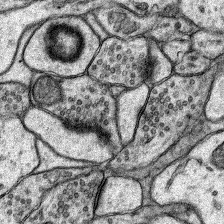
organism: Rat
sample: Hippocampus